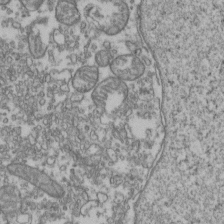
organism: Human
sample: Activated Jurkat CD4+ T cells